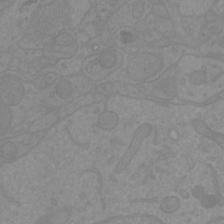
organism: Mouse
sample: Cortical neurons